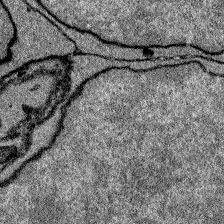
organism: Zebrafish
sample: Larval olfactory bulb